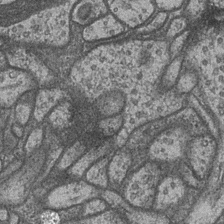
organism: Drosophila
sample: Optic medulla